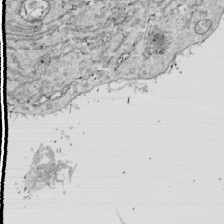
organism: Drosophila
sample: Cell division; meiosis; drosophila spermatocytes